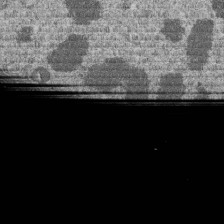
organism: Human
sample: MDA-MB-231 cells